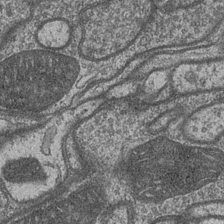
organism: Drosophila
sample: Optic medulla